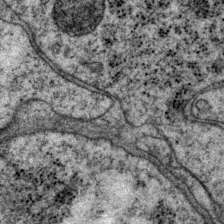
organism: P. pacificus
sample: Pharynx